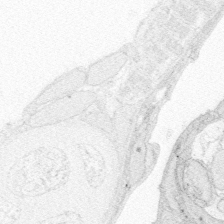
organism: Zebrafish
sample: Whole-Brain